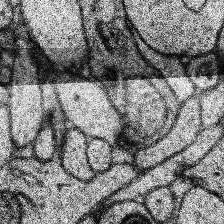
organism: Human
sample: Temporal Lobe